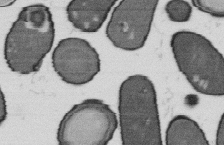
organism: B. subtilis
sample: Bacterial spore